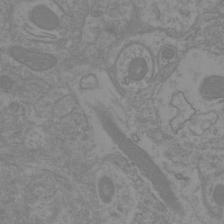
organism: Mouse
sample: Cortical neurons